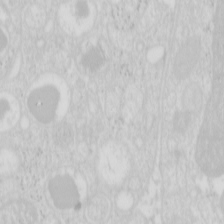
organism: Mouse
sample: Pancreas